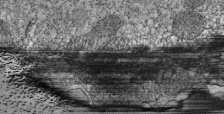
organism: Tetrahymena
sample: Cilia in tetrahymena